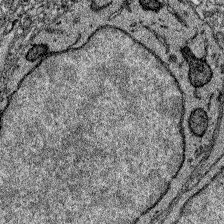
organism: Zebrafish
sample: Larval olfactory bulb